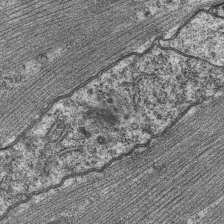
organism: C. elegans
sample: Pharynx